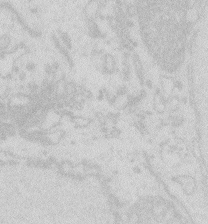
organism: Zebrafish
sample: Macrophage